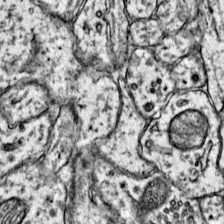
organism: Mouse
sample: Primary visual cortex